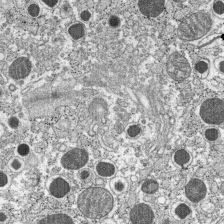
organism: C57BL Mouse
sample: Pancreatic islet